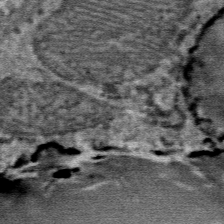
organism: Mouse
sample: Mouse Salivary gland